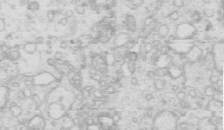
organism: Mouse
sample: Multiciliated cells